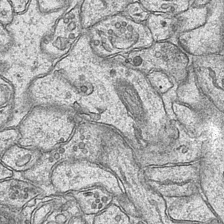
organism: Mouse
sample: CA1 Hippocampus